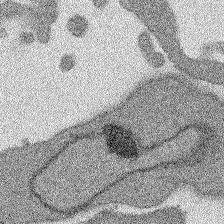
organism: Human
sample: HeLa cells